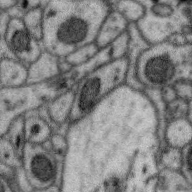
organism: Zebra finch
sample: Brain